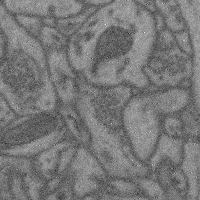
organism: Mouse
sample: Cerebral cortex